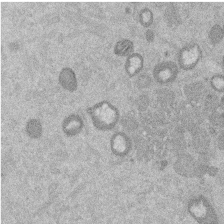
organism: Mouse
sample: Dividing mouse embryo 1 cell stage